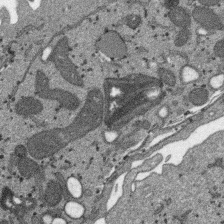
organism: Human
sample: Lung epithelial cells infected with SARS-CoV-2